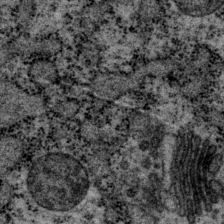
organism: P. pacificus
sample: Pharynx